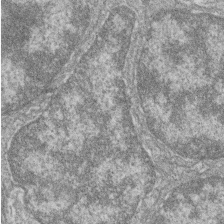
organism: Zebrafish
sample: Cilia; retinal pigment epithelium